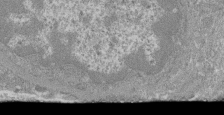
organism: Mouse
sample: Glomerulus